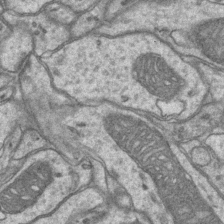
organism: Mouse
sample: CA1 Hippocampus